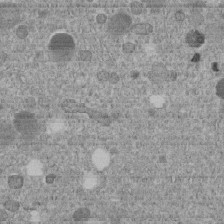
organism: C. elegans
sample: C. elegans embryo early stage